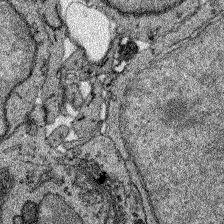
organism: Zebrafish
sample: Larval olfactory bulb